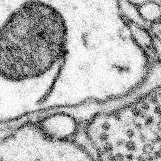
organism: Mouse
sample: Somatosensory cortex neuropil